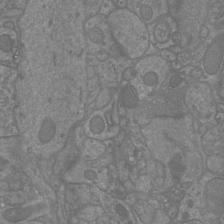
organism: Mouse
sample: Cortical neurons